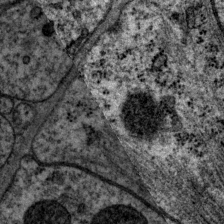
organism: P. pacificus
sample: Pharynx